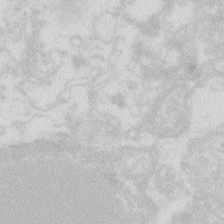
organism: Zebrafish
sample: Macrophage